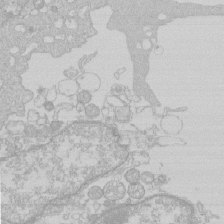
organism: Human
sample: Macrophage cells